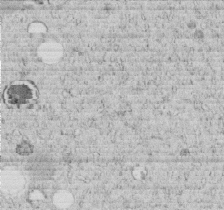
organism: C. elegans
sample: C. elegans embryo early stage